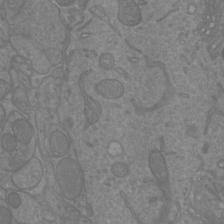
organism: Mouse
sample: Cortical neurons